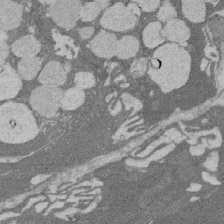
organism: Rat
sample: Salivary granule